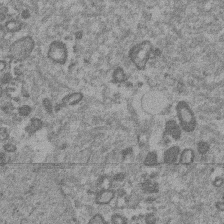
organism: Mouse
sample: Dividing mouse embryo 1 cell stage